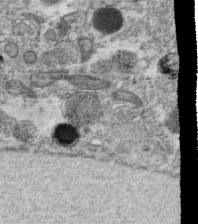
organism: C. elegans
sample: C. elegans oocyte; sperm cells